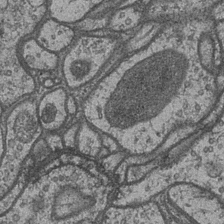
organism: Drosophila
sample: Optic medulla